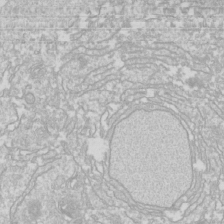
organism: Drosophila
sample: Cell division; meiosis; drosophila spermatocytes